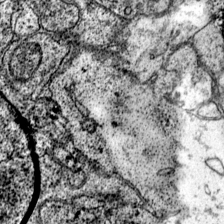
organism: Mouse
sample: Primary visual cortex